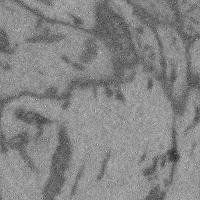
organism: Mouse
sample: Cerebral cortex